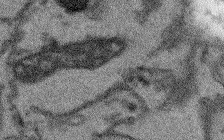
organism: Arabidopsis thaliana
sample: Root tip